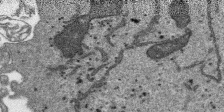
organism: Human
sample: Lung epithelial cells infected with SARS-CoV-2